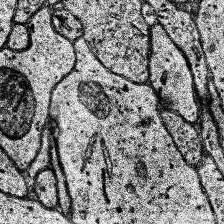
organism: Human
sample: Temporal Lobe